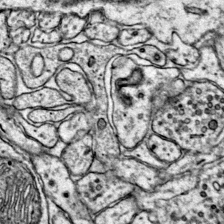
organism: Mouse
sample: Primary visual cortex